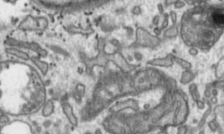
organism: Toxoplasma gondii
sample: Parasites in a vacuole inside a host cell